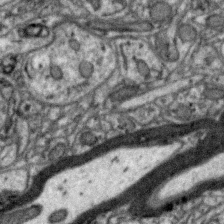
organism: Zebra finch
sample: Brain